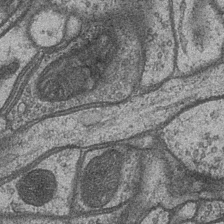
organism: Drosophila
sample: Optic medulla